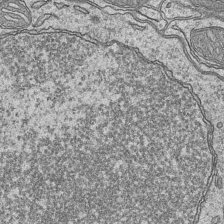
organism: Mouse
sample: CA1 Hippocampus